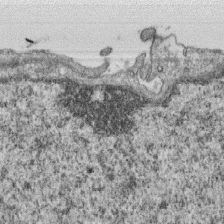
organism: African green monkey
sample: Vero E6 cells infected with SARS-CoV-2